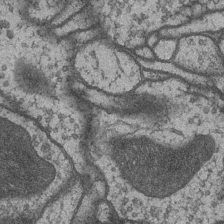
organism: Drosophila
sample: Optic medulla